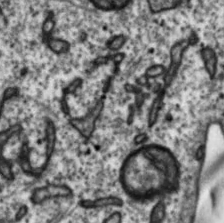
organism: Human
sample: HeLa cells